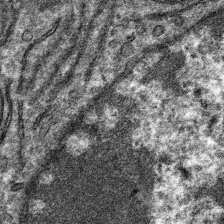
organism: Mouse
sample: Mouse hepatocytes